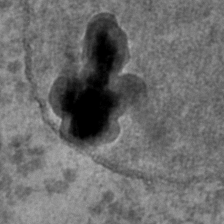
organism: C. elegans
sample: C. elegans embryo